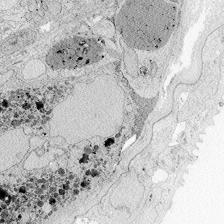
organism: Zebrafish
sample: Whole-Brain